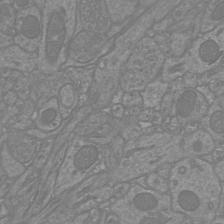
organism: Mouse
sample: Cortical neurons